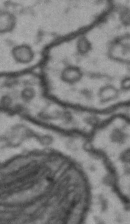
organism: Drosophila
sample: Brain